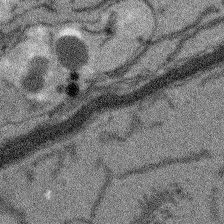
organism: Arabidopsis thaliana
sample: Root tip